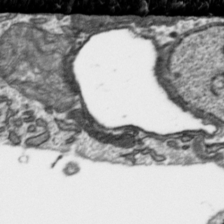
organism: Toxoplasma gondii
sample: Parasites in a vacuole inside a host cell